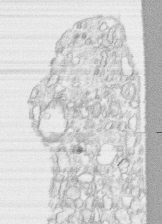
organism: Human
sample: CRL-1474